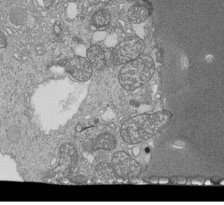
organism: Tetrahymena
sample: Cilia in tetrahymena